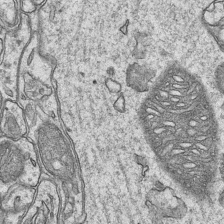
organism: Mouse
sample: CA1 Hippocampus